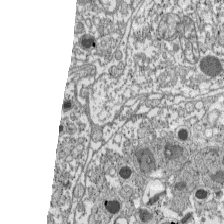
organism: C57BL Mouse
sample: Pancreatic islet